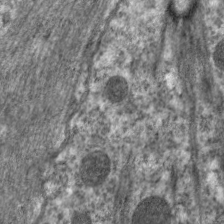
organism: C. elegans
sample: Pharynx